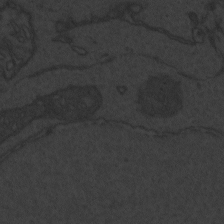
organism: Zebrafish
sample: Macrophage infected with Toxoplasma gondii